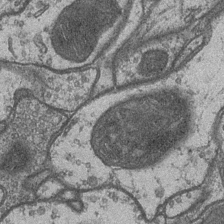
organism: Drosophila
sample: Optic medulla